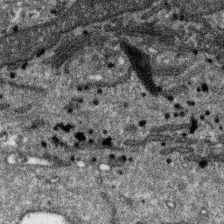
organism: Human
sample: Lung epithelial cells infected with SARS-CoV-2